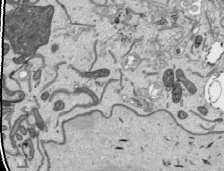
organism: Human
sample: Mitochondria in HCT116 cells